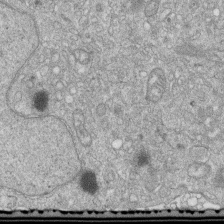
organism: Human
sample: HeLa cell HIV synapse